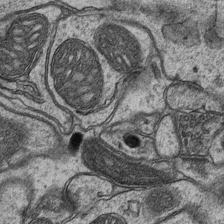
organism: Mouse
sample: CA1 Hippocampus